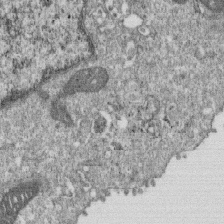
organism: African green monkey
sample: Vero E6 cells infected with SARS-CoV-2